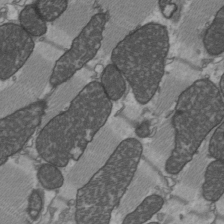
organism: C57BL Mouse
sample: Heart